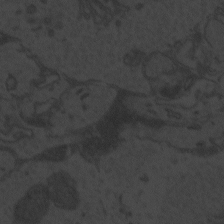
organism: Zebrafish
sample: Macrophage infected with Toxoplasma gondii